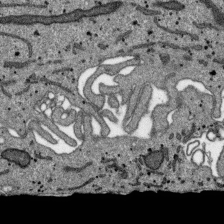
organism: Human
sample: Lung epithelial cells, uninfected (mock) control